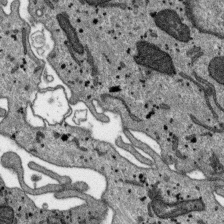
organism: Human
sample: Lung epithelial cells, uninfected (mock) control